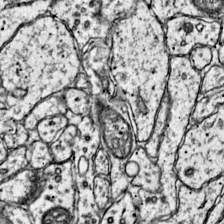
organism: Mouse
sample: Primary visual cortex